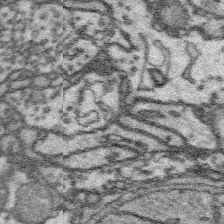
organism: Platynereis dumerilii